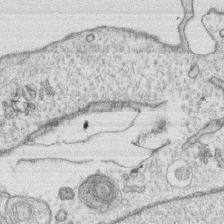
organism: Human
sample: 1205lu cells